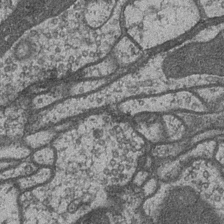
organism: Drosophila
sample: Optic medulla